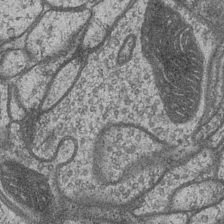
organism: Drosophila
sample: Optic medulla